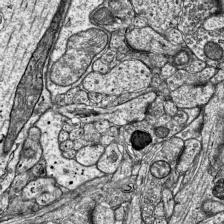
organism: Mouse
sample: Visual Cortex